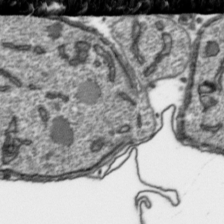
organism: Toxoplasma gondii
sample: Parasites in a vacuole inside a host cell